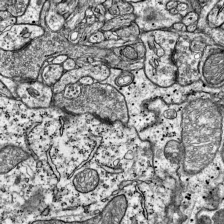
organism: Mouse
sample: Visual Cortex